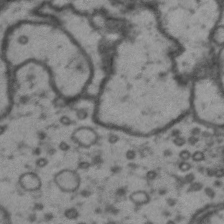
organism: Drosophila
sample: Brain